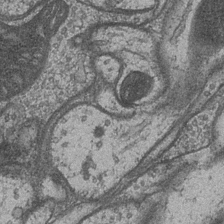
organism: Drosophila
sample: Optic medulla